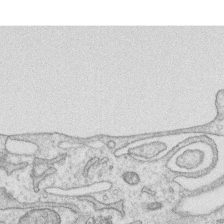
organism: Human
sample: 1205lu cells